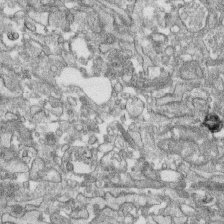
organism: Human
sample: CRL-1474